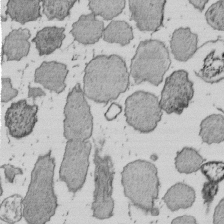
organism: E. coli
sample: Bacterial nucleoid